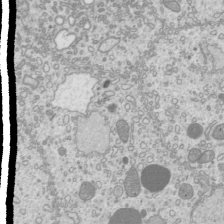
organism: Mouse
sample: Cilia; mouse epididymis